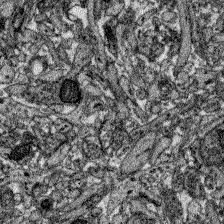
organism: Zebrafish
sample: Larval olfactory bulb